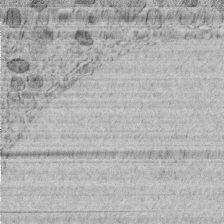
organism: C. elegans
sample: C. elegans embryo early stage